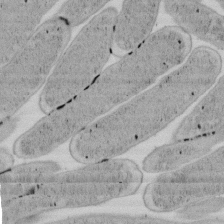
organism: E. coli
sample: Bacterial nucleoid